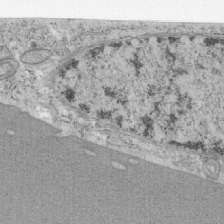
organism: Human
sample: HeLa cells